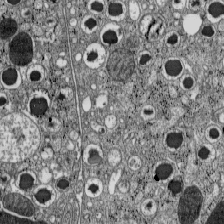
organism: C57BL Mouse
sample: Pancreatic islet